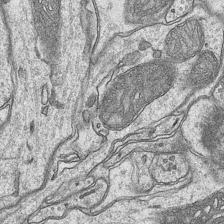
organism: Mouse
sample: CA1 Hippocampus